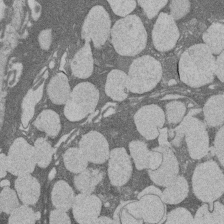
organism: Rat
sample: Salivary granule